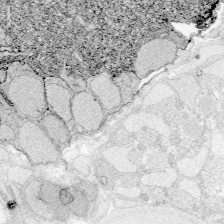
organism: Zebrafish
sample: Whole-Brain